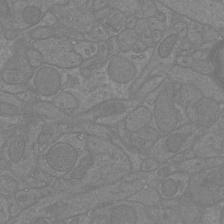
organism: Mouse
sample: Cortical neurons